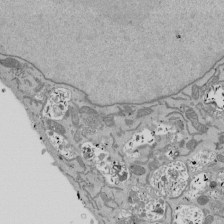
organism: Mouse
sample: ED-1 cell nuclei; centrioles